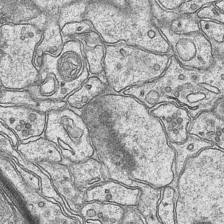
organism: Mouse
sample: CA1 Hippocampus